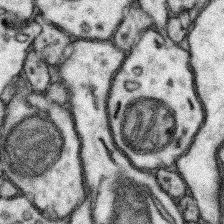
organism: Mouse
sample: Somatosensory cortex neuropil